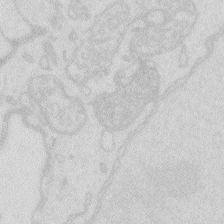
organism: Zebrafish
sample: Macrophage